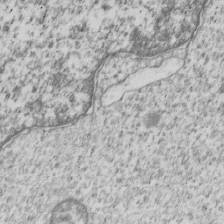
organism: Human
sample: MDA-MB-231 cells